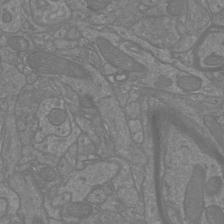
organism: Mouse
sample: Cortical neurons